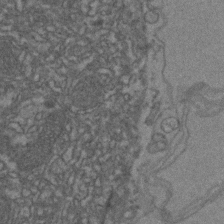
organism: Zebrafish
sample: Zebrafish embryo